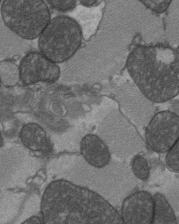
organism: C57BL Mouse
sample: Heart